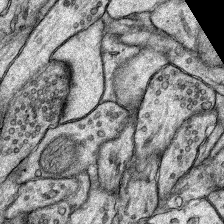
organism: Rat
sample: Hippocampus